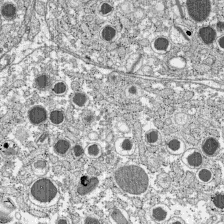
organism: C57BL Mouse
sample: Pancreatic islet